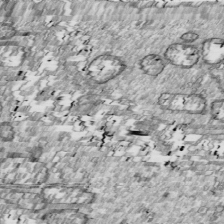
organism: Drosophila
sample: Cell division; meiosis; drosophila spermatocytes